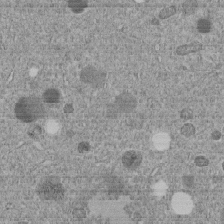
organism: C. elegans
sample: C. elegans embryo early stage